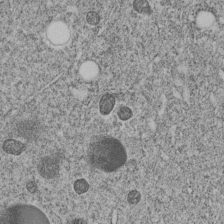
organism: C. elegans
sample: C. elegans embryo early stage